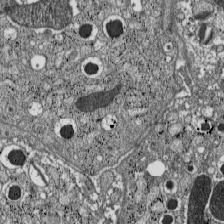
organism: C57BL Mouse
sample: Pancreatic islet